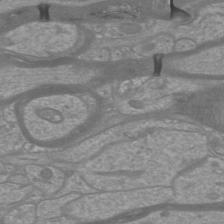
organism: Mouse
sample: Cortical neurons